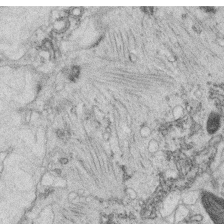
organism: C. elegans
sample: C. elegans oocyte; sperm cells